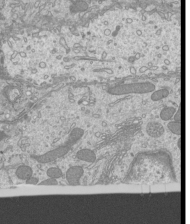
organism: Mouse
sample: Cilia; mouse epididymis